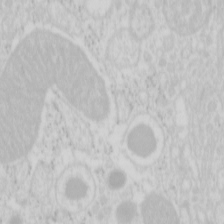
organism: Mouse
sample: Pancreas